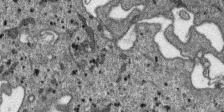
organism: Human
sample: Lung epithelial cells infected with SARS-CoV-2